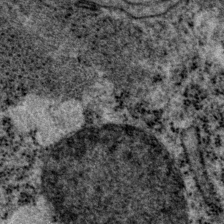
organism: P. pacificus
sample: Pharynx